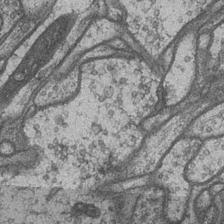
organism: Drosophila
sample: Optic medulla